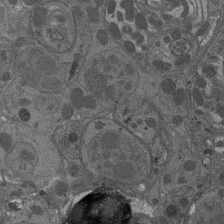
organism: Drosophila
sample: Antenna